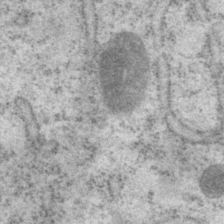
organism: P. pacificus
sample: Pharynx